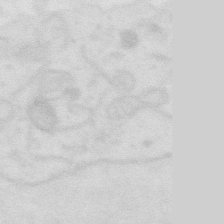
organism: Human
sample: HeLa cells